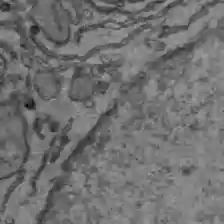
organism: C57BL Mouse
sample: Liver